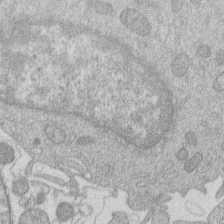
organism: Human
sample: Macrophage cells